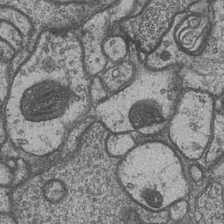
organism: Drosophila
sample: Optic medulla